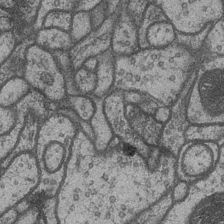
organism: Drosophila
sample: Optic medulla